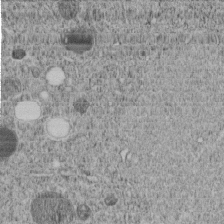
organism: C. elegans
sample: C. elegans embryo early stage